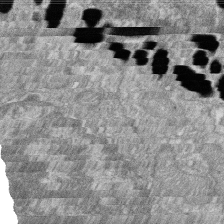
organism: Zebrafish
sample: Cilia; retinal pigment epithelium